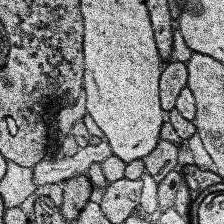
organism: Human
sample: Temporal Lobe